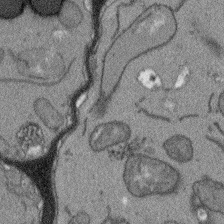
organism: Arabidopsis thaliana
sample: Root tip